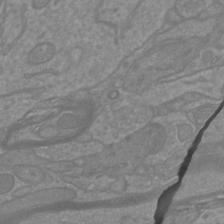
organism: Mouse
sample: Cortical neurons